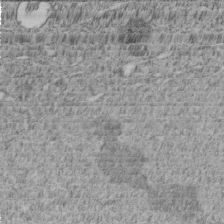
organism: C. elegans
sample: C. elegans embryo early stage